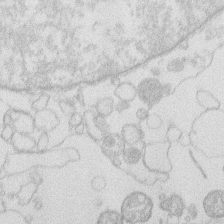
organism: Human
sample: Macrophage cells